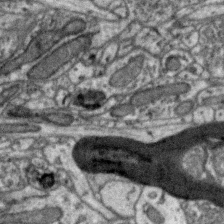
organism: Zebra finch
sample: Brain